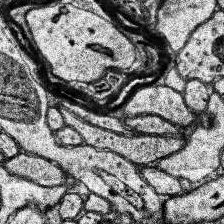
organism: Human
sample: Temporal Lobe